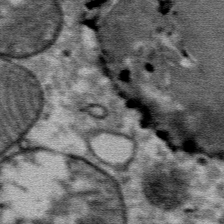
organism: Mouse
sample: Mouse Salivary gland